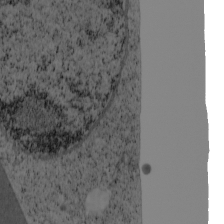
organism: African green monkey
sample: COS-7 cells